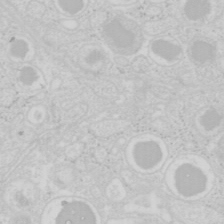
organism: Mouse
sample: Pancreas